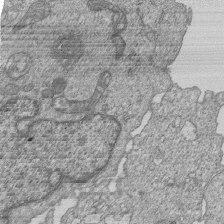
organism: Human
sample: MDA-MB-231 cells